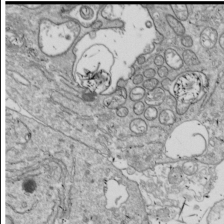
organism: Drosophila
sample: Cell division; meiosis; drosophila spermatocytes